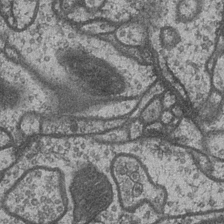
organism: Drosophila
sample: Optic medulla